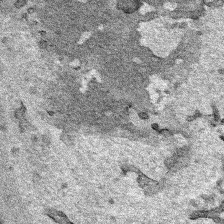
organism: Human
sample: Mitochondria in HCT116 cells